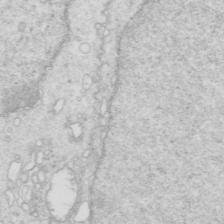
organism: Mouse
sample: Multiciliated cells